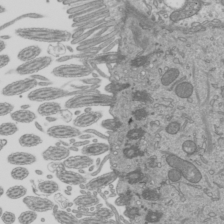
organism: Mouse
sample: Cilia; mouse epididymis